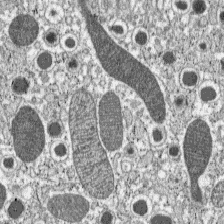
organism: C57BL Mouse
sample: Pancreatic islet